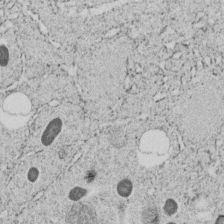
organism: C. elegans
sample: C. elegans embryo early stage